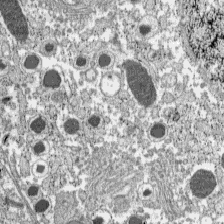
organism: C57BL Mouse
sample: Pancreatic islet